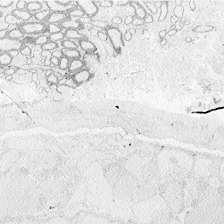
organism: Zebrafish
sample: Whole-Brain